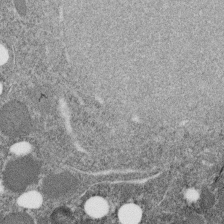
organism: C. elegans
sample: C. elegans embryo early stage